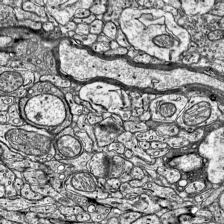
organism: Mouse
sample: Visual Cortex